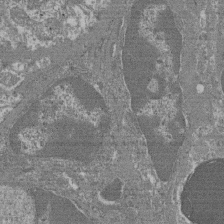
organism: Mouse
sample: Glomerulus